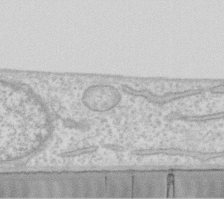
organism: Human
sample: Fibroblast cells